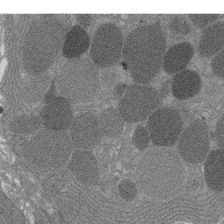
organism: Rat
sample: Salivary granule